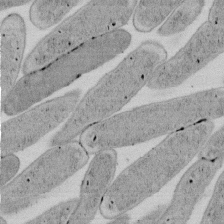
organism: E. coli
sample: Bacterial nucleoid